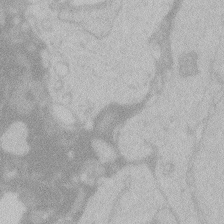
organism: Zebrafish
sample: Macrophage infected with Toxoplasma gondii